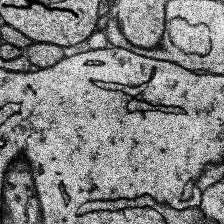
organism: Human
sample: Temporal Lobe